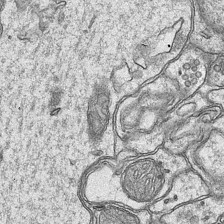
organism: Mouse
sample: CA1 Hippocampus